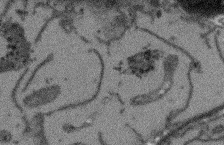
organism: Arabidopsis thaliana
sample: Root tip